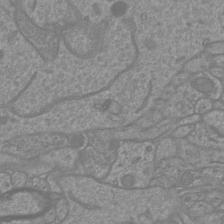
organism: Mouse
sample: Cortical neurons